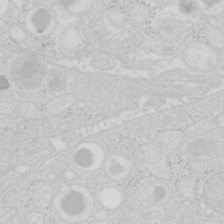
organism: Mouse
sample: Pancreas